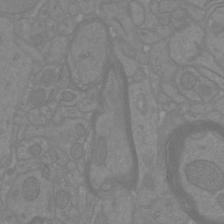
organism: Mouse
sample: Cortical neurons